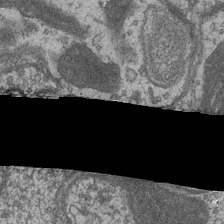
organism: Drosophila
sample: Optic medulla